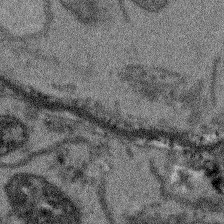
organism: Arabidopsis thaliana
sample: Root tip